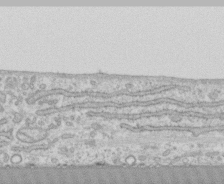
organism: Human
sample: CRL-1474